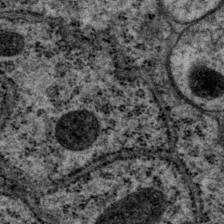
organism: P. pacificus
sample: Pharynx